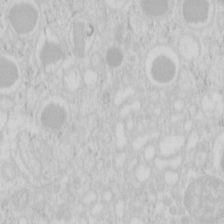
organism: Mouse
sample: Pancreas